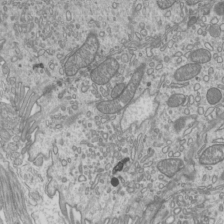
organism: Mouse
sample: Cilia; mouse epididymis